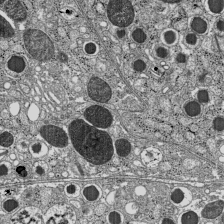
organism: C57BL Mouse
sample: Pancreatic islet